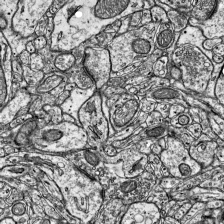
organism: Mouse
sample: Visual Cortex